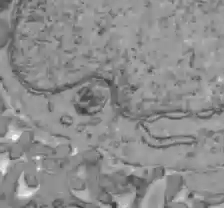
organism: C57BL Mouse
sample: Liver